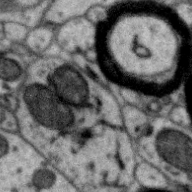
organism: Zebra finch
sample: Brain